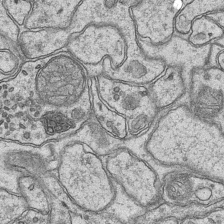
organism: Mouse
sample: CA1 Hippocampus